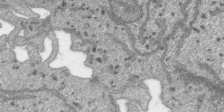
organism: Human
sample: Lung epithelial cells infected with SARS-CoV-2